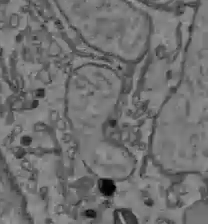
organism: C57BL Mouse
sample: Liver